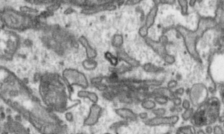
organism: Toxoplasma gondii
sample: Parasites in a vacuole inside a host cell